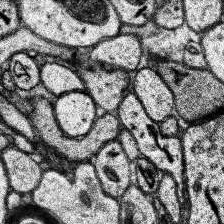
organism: Human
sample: Temporal Lobe